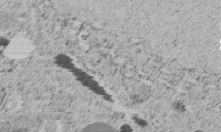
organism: C. elegans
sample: C. elegans embryo early stage